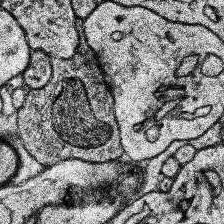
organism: Human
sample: Temporal Lobe